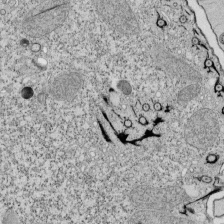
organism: Tetrahymena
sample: Cilia in tetrahymena